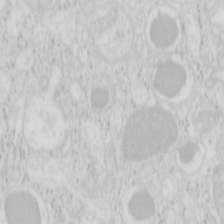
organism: Mouse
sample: Pancreas